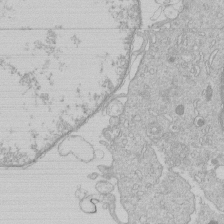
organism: Human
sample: Macrophage cells